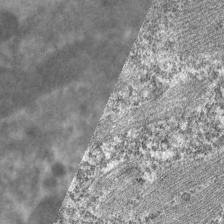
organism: C. elegans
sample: Pharynx